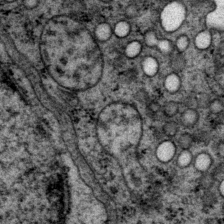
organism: P. pacificus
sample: Pharynx